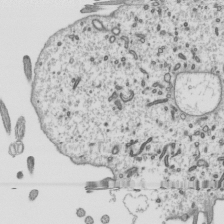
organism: Mouse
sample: Mouse epididymis efferent ductule cilia